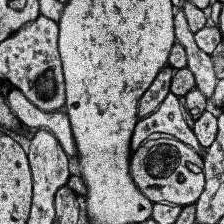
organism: Human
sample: Temporal Lobe